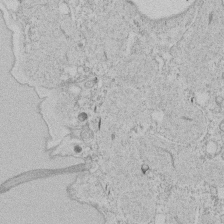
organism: Tetrahymena